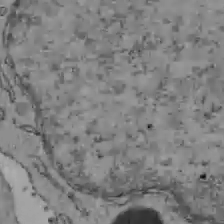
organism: C57BL Mouse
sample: Liver